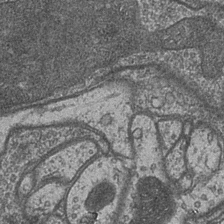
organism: Drosophila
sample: Optic medulla